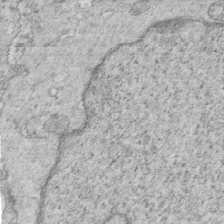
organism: Mouse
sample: Multiciliated cells